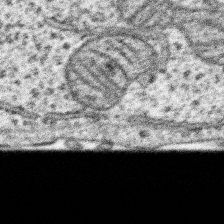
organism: Human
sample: HeLa cells